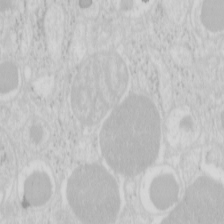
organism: Mouse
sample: Pancreas